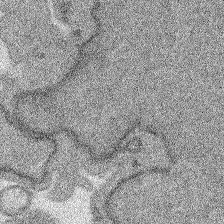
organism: Human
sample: HeLa cells